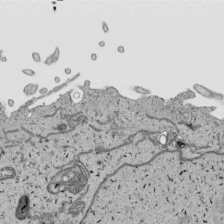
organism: Human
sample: Mitochondria in HCT116 cells